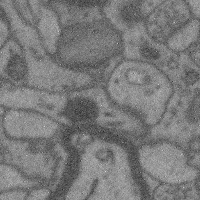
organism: Mouse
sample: Cerebral cortex